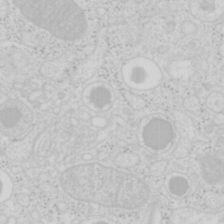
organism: Mouse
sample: Pancreas